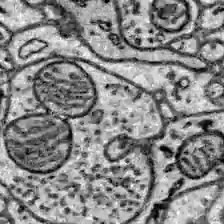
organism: Zebrafish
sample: Brain